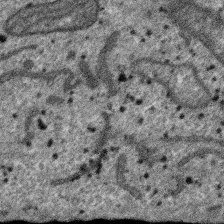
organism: Human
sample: Lung epithelial cells infected with SARS-CoV-2